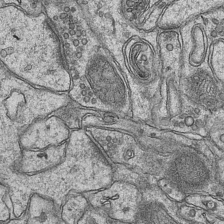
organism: Mouse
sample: CA1 Hippocampus